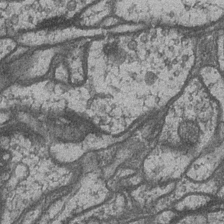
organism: Drosophila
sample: Optic medulla